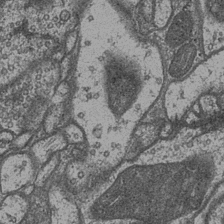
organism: Drosophila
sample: Optic medulla